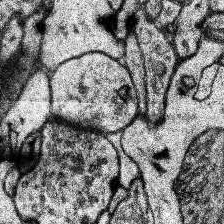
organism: Human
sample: Temporal Lobe